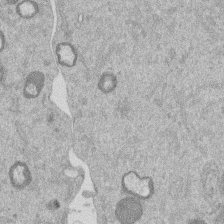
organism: Mouse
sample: Dividing mouse embryo 1 cell stage